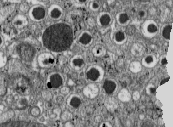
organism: C57BL Mouse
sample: Pancreatic islet